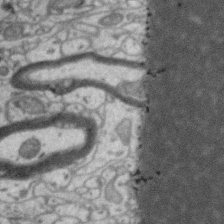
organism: Zebra finch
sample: Brain